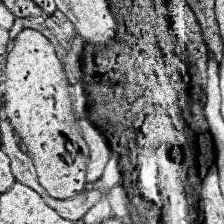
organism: Human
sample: Temporal Lobe